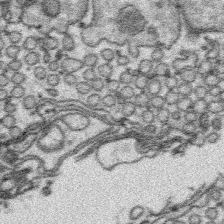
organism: Platynereis dumerilii